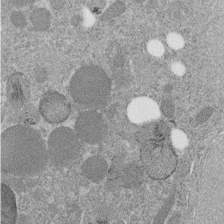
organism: C. elegans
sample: C. elegans embryo early stage